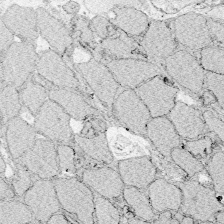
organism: Zebrafish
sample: Whole-Brain